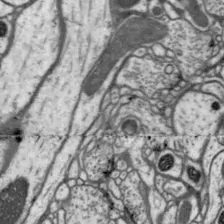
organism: Drosophila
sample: Protocerebral bridge